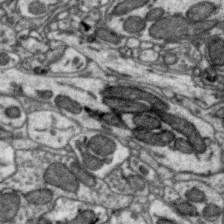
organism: Zebra finch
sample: Brain